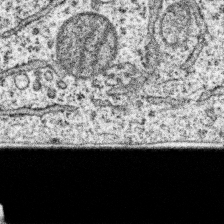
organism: Human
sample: HeLa cells